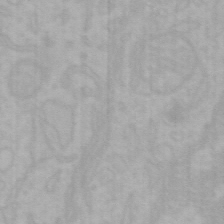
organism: Mouse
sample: Choroid plexus